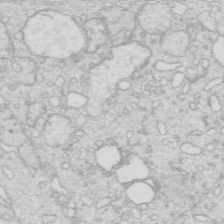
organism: Mouse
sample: Multiciliated cells